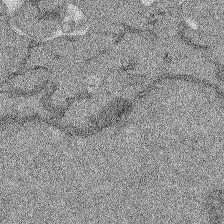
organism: Human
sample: HeLa cells